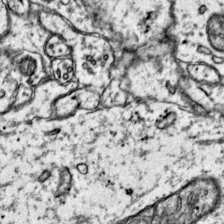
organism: Mouse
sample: Primary visual cortex